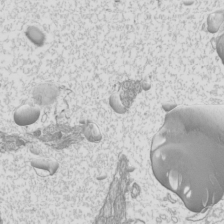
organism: Mouse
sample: Cilia; mouse epididymis